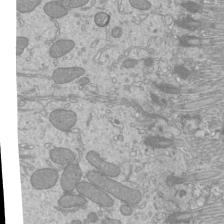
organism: Mouse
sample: Cilia; mouse epididymis